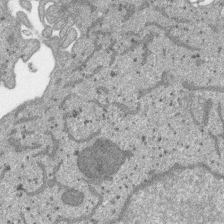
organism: Human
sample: Lung epithelial cells infected with SARS-CoV-2